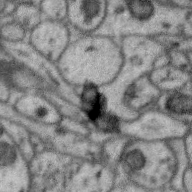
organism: Zebra finch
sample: Brain